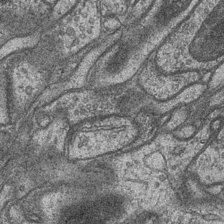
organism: Drosophila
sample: Optic medulla